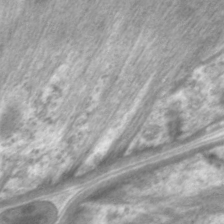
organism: C. elegans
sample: Pharynx